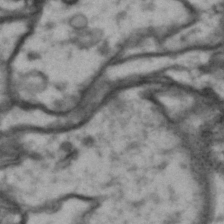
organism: Drosophila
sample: Brain